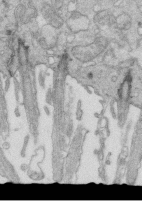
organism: Mouse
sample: Multiciliated cells